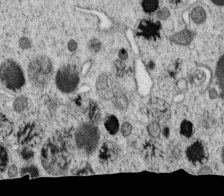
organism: C. elegans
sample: C. elegans oocyte; sperm cells